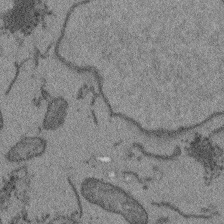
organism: Arabidopsis thaliana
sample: Root tip